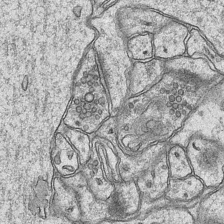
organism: Mouse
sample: CA1 Hippocampus